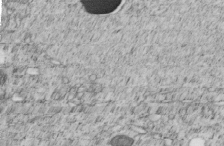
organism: C. elegans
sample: C. elegans embryo early stage